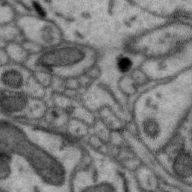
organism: Zebra finch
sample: Brain